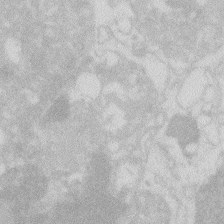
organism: Zebrafish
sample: Macrophage